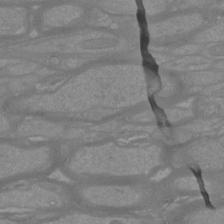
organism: Mouse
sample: Cortical neurons